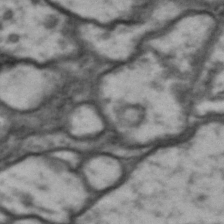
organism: Drosophila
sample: Brain